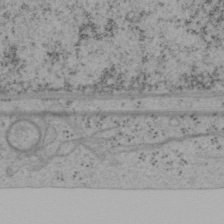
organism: Human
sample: HeLa cells